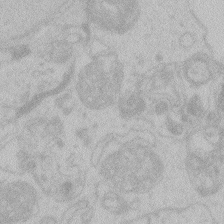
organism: Zebrafish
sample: Macrophage infected with Toxoplasma gondii